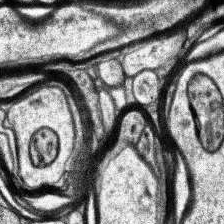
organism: Human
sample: Temporal Lobe